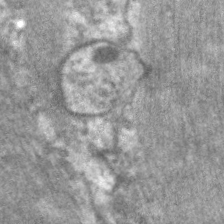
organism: C. elegans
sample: Pharynx